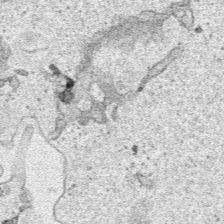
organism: Human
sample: Mitochondria in HCT116 cells